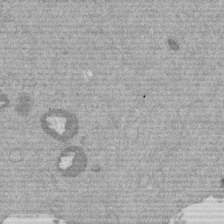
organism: Mouse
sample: Dividing mouse embryo 1 cell stage